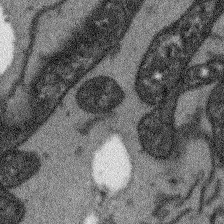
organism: Arabidopsis thaliana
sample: Root tip